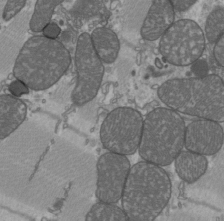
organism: C57BL Mouse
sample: Heart